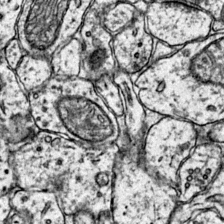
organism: Mouse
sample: Primary visual cortex